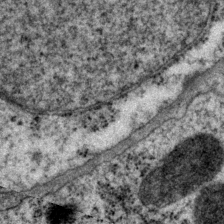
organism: P. pacificus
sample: Pharynx